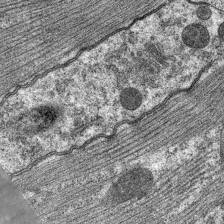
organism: C. elegans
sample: Pharynx